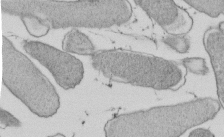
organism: E. coli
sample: Bacterial nucleoid